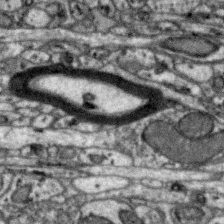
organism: Zebra finch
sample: Brain